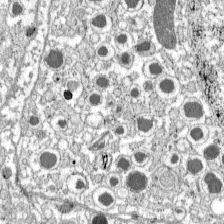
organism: C57BL Mouse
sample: Pancreatic islet